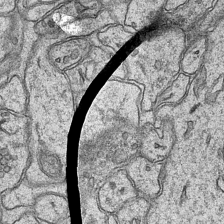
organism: Mouse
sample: CA1 Hippocampus